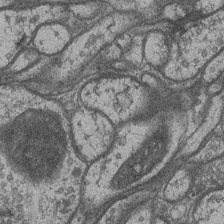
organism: Drosophila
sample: Optic medulla